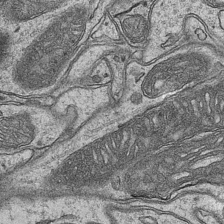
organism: Mouse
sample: CA1 Hippocampus